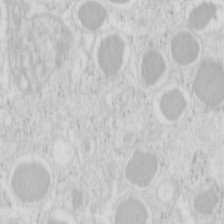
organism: Mouse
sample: Pancreas